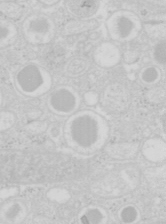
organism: Mouse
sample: Pancreas